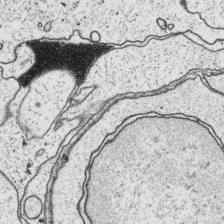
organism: Platynereis dumerilii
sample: Parapodia